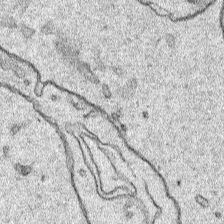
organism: Human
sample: Mitochondria in HCT116 cells